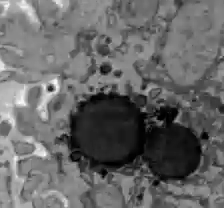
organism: C57BL Mouse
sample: Liver